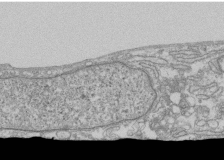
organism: Human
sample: Fibroblast cells